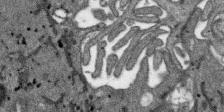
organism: Human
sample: Lung epithelial cells, uninfected (mock) control